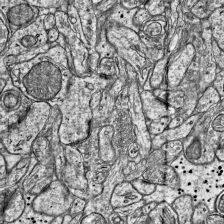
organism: Mouse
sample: Visual Cortex